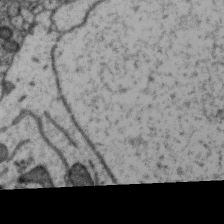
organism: Zebra finch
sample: Brain